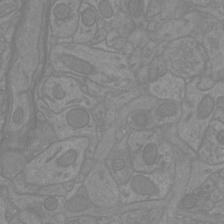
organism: Mouse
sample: Cortical neurons